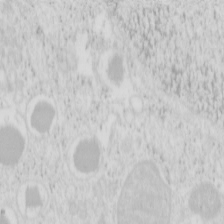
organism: Mouse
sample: Pancreas